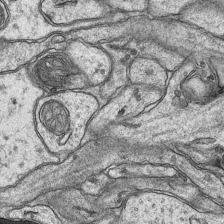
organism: Mouse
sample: CA1 Hippocampus